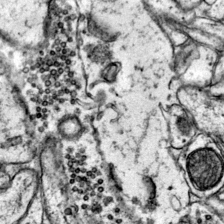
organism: Mouse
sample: Primary visual cortex